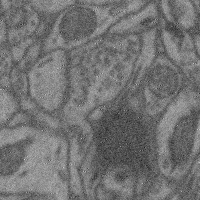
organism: Mouse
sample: Cerebral cortex